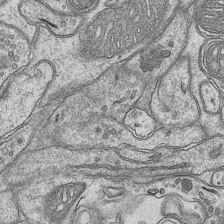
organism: Mouse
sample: CA1 Hippocampus